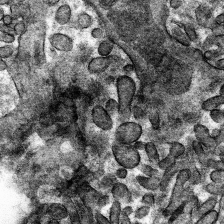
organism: Mouse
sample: Mouse hepatocytes